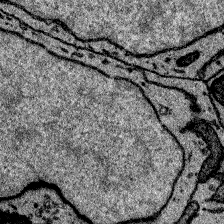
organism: Zebrafish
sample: Larval olfactory bulb